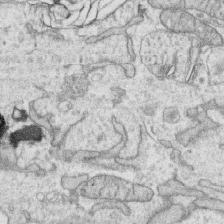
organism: Human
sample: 1205lu cells